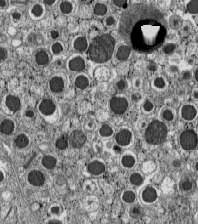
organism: C57BL Mouse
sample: Pancreatic islet